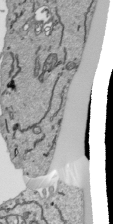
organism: Human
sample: Mitochondria in HCT116 cells